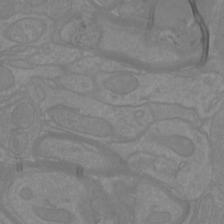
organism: Mouse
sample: Cortical neurons